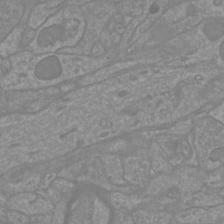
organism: Mouse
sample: Cortical neurons